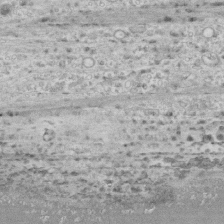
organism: Human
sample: CRL-1474